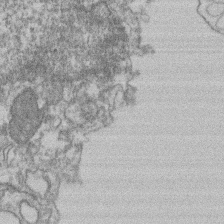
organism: Mouse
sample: T cell stromal cell synapse